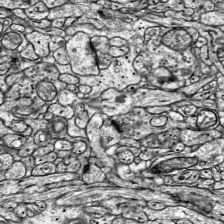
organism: Mouse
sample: Visual Cortex